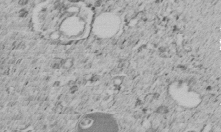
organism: C. elegans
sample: C. elegans embryo early stage